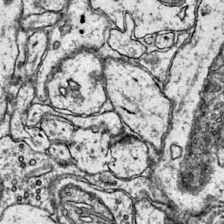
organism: Mouse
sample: Primary visual cortex